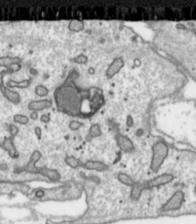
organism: Toxoplasma gondii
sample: Parasites in a vacuole inside a host cell